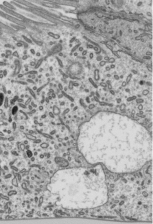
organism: Mouse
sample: Mouse epididymis efferent ductule cilia